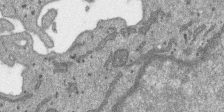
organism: Human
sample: Lung epithelial cells infected with SARS-CoV-2